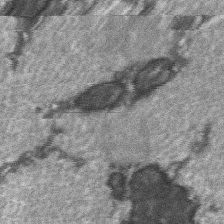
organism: C57BL Mouse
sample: Soleus